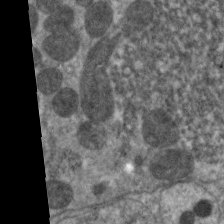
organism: C. elegans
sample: Pharynx